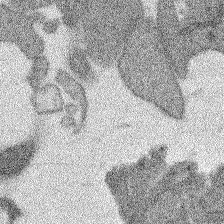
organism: Human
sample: HeLa cells